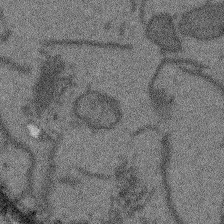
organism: Arabidopsis thaliana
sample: Root tip